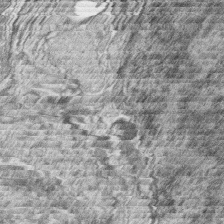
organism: Zebrafish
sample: synaptic ribbons in rod cells and cone cells